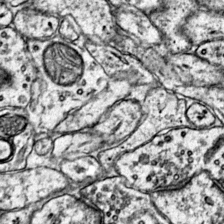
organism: Mouse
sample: Primary visual cortex